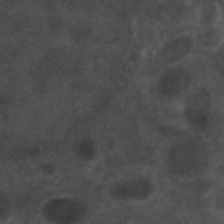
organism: Zebrafish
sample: Zebrafish embryo